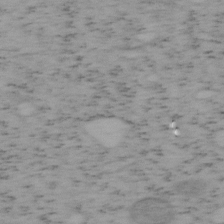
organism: Mouse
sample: OT-I killer T cells with ID8 ovarian cancer cells